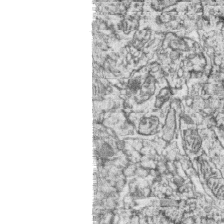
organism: Zebrafish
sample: synaptic ribbons in rod cells and cone cells